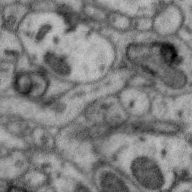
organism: Zebra finch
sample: Brain